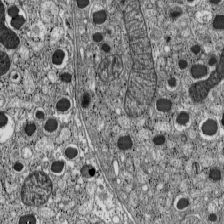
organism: C57BL Mouse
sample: Pancreatic islet